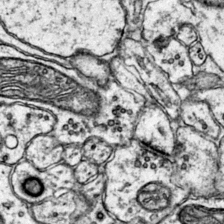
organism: Mouse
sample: Primary visual cortex